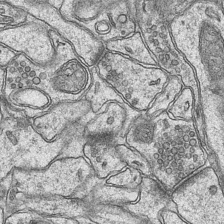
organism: Mouse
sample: CA1 Hippocampus